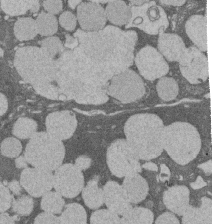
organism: Rat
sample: Salivary granule